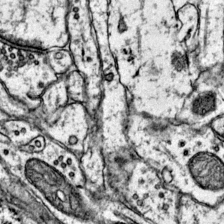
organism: Mouse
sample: Primary visual cortex